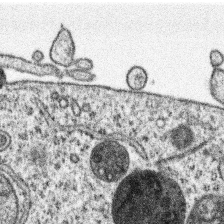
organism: Human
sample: HeLa cells